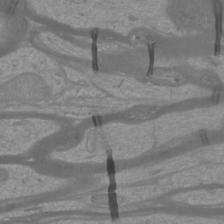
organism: Mouse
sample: Cortical neurons